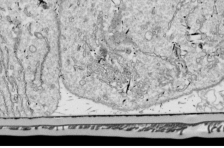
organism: Drosophila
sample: Cell division; meiosis; drosophila spermatocytes